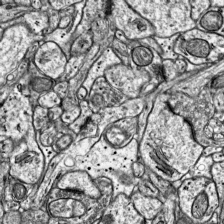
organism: Mouse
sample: Visual Cortex